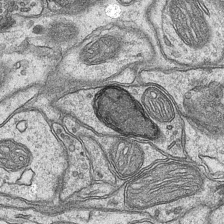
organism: Mouse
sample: CA1 Hippocampus